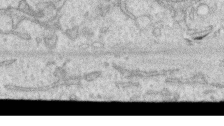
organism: Human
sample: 1205lu cells